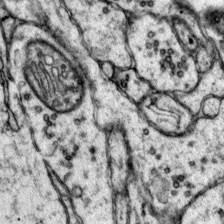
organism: Mouse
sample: Primary visual cortex